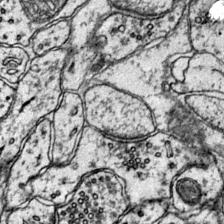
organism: Mouse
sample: Primary visual cortex